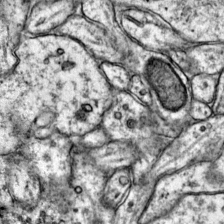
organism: Mouse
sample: Primary visual cortex